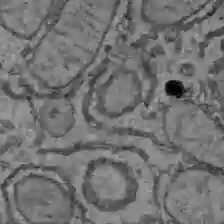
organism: C57BL Mouse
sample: Liver